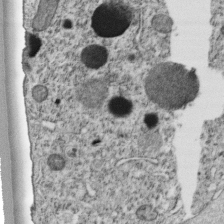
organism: C. elegans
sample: C. elegans embryo early stage